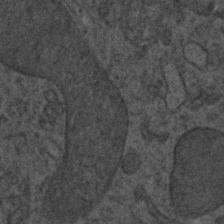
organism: C. elegans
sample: C. elegans embryo